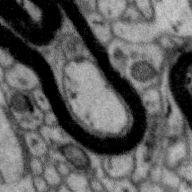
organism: Zebra finch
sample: Brain